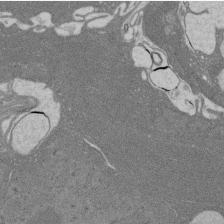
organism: Rat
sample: Salivary granule